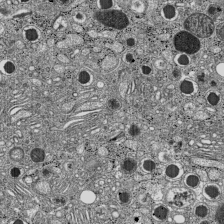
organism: C57BL Mouse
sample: Pancreatic islet